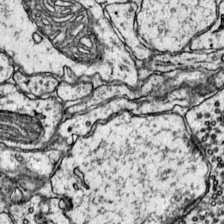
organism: Mouse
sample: Primary visual cortex